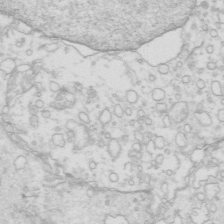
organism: Mouse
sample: Multiciliated cells